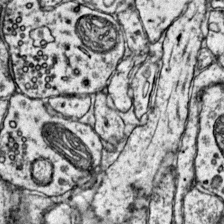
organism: Mouse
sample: Primary visual cortex